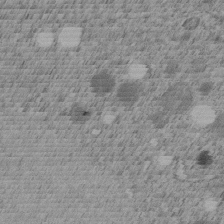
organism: C. elegans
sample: C. elegans embryo early stage